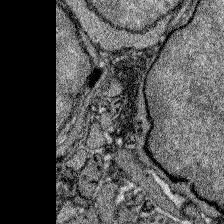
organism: Zebrafish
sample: Larval olfactory bulb